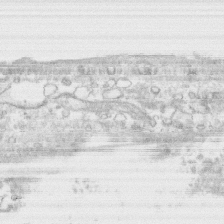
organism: Human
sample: CRL-1474